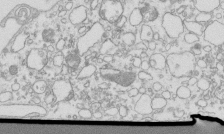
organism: Mouse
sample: Macrophages